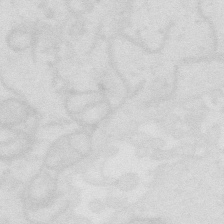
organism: Human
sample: HeLa cells